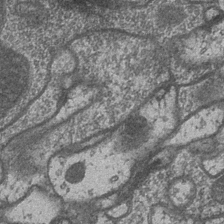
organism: Drosophila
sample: Optic medulla